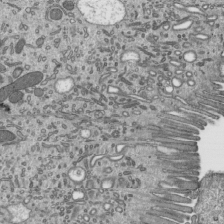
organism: Mouse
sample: Mouse epididymis efferent ductule cilia